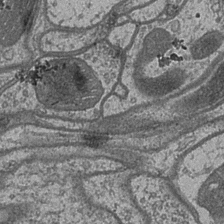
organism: Drosophila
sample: Optic medulla